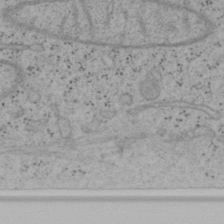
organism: Human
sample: HeLa cells